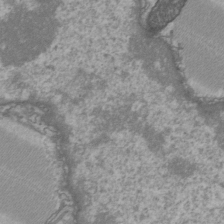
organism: C57BL Mouse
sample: Heart